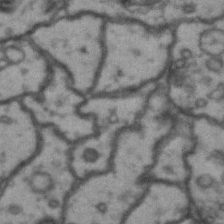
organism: Drosophila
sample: Brain